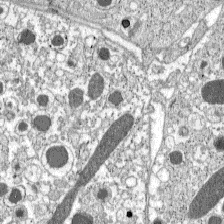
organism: C57BL Mouse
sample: Pancreatic islet